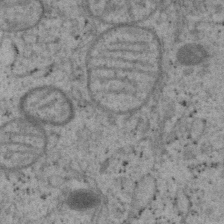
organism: Human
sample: HeLa cells